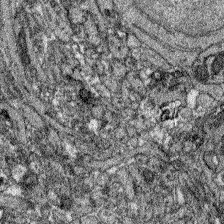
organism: Zebrafish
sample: Larval olfactory bulb